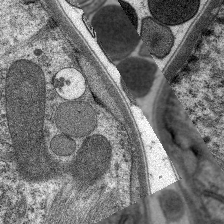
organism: C. elegans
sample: Pharynx